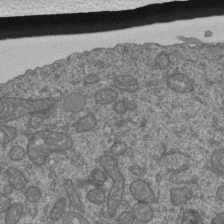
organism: Human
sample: Retinal organoid Rod and Cone cells